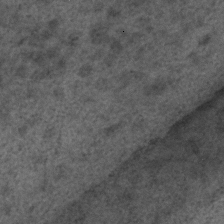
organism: C. elegans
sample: C. elegans embryo